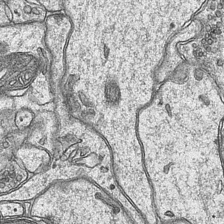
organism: Mouse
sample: CA1 Hippocampus